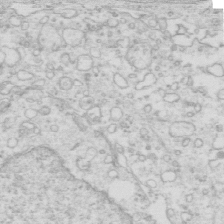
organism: Mouse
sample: Multiciliated cells